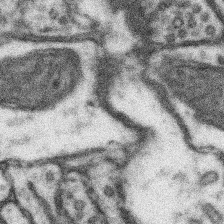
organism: Mouse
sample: Somatosensory cortex neuropil